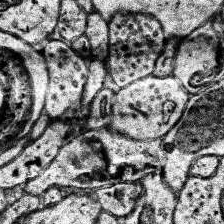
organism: Human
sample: Temporal Lobe